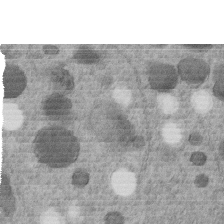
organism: C. elegans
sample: C. elegans embryo early stage